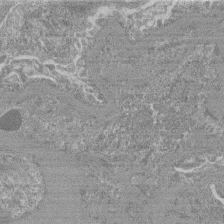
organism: Mouse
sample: Glomerulus